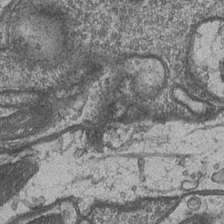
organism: Drosophila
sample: Optic medulla